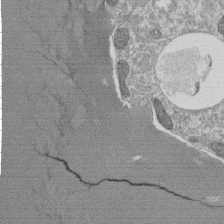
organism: Tetrahymena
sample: Cilia in tetrahymena